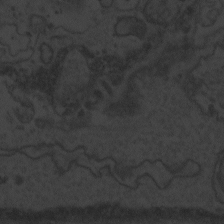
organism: Zebrafish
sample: Macrophage infected with Toxoplasma gondii